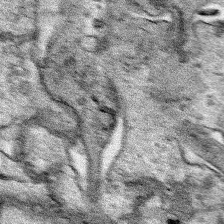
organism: Human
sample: Mitochondria in HCT116 cells